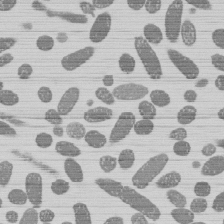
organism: E. coli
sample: Bacterial nucleoid